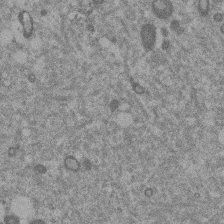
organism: Mouse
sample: Dividing mouse embryo 1 cell stage